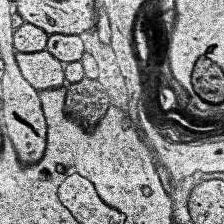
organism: Human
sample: Temporal Lobe